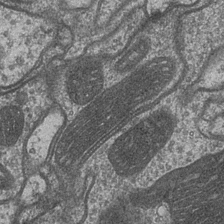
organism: Drosophila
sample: Optic medulla